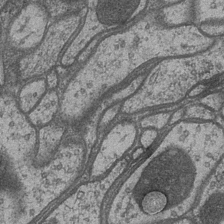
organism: Drosophila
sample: Optic medulla